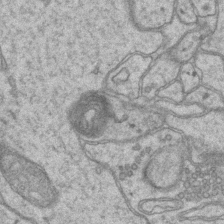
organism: Mouse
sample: CA1 Hippocampus